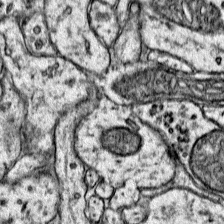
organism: Mouse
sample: Primary visual cortex